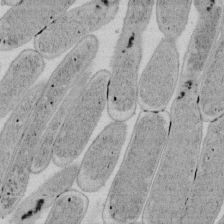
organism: E. coli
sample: Bacterial nucleoid